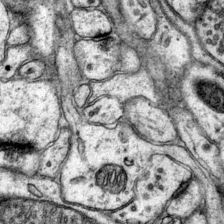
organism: Mouse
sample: Primary visual cortex